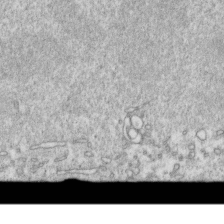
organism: Mouse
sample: Activated OT-1 CD8+ T cells